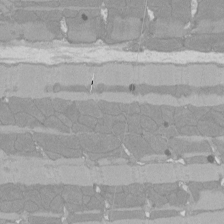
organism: Rat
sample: Left ventricle